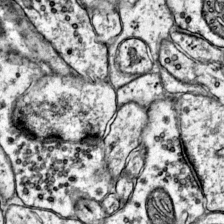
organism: Mouse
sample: Primary visual cortex